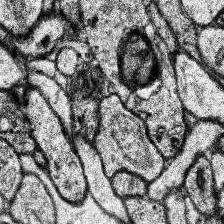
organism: Human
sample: Temporal Lobe